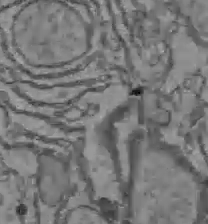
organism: C57BL Mouse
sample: Liver